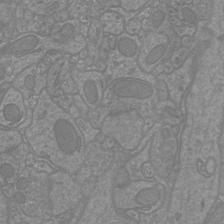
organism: Mouse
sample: Cortical neurons